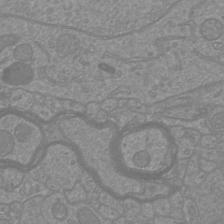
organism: Mouse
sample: Cortical neurons